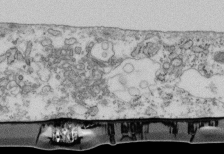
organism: Mouse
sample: Cilia; retinal pigment epithelium